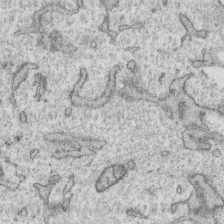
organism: Human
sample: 1205lu cells